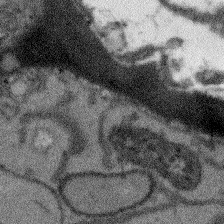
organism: Arabidopsis thaliana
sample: Root tip